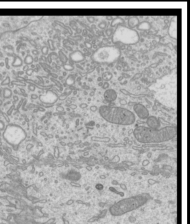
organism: Mouse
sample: Cilia; mouse epididymis